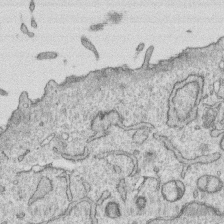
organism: Human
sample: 1205lu cells